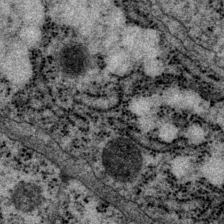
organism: P. pacificus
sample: Pharynx